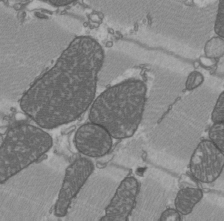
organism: C57BL Mouse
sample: Heart